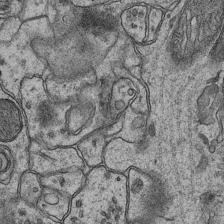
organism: Mouse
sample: CA1 Hippocampus